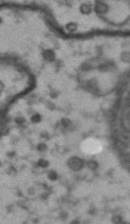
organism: Drosophila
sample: Brain